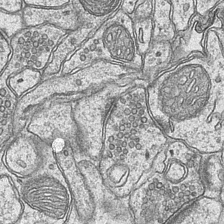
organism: Mouse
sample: CA1 Hippocampus